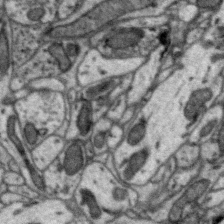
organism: Zebra finch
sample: Brain